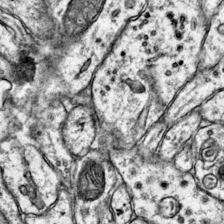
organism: Mouse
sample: Primary visual cortex